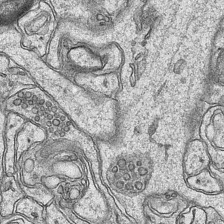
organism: Mouse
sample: CA1 Hippocampus